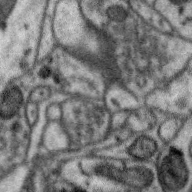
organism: Zebra finch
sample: Brain